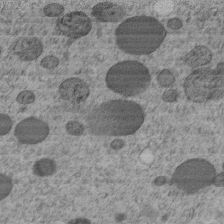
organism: C. elegans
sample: C. elegans embryo early stage